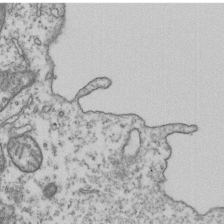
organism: Human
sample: Activated Jurkat CD4+ T cells